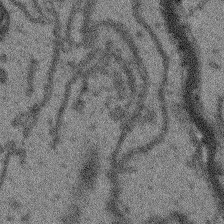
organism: Arabidopsis thaliana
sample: Root tip